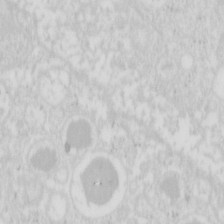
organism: Mouse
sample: Pancreas